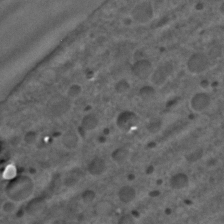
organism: C. elegans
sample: C. elegans embryo